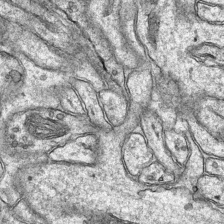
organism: Mouse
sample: CA1 Hippocampus